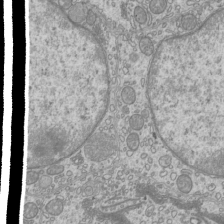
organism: Mouse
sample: Cilia; mouse epididymis